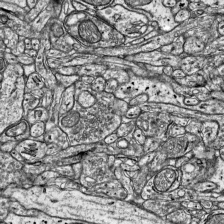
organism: Mouse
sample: Visual Cortex